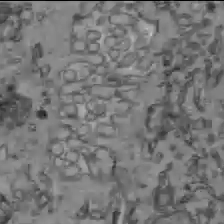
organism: C57BL Mouse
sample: Liver